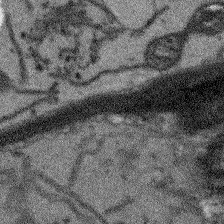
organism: Arabidopsis thaliana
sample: Root tip